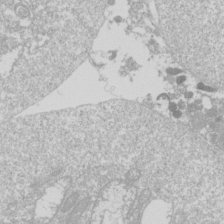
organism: Drosophila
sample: Cell division; meiosis; drosophila spermatocytes